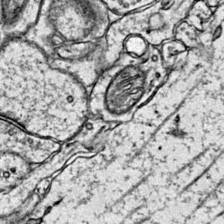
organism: Mouse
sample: Primary visual cortex